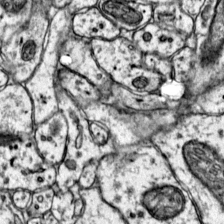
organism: Mouse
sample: Primary visual cortex